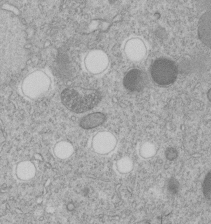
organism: C. elegans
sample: C. elegans embryo early stage